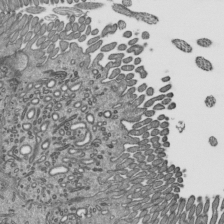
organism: Mouse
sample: Mouse epididymis efferent ductule cilia